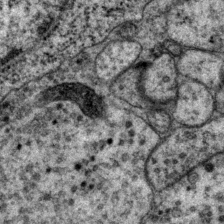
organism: P. pacificus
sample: Pharynx